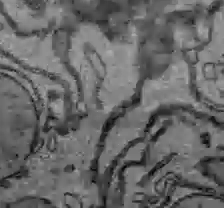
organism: C57BL Mouse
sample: Liver